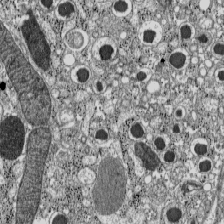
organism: C57BL Mouse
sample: Pancreatic islet